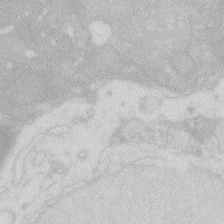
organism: Zebrafish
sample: Macrophage